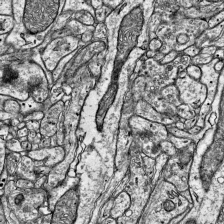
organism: Mouse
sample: Visual Cortex